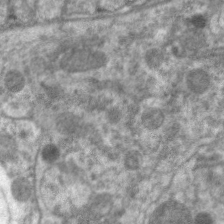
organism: C. elegans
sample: Pharynx